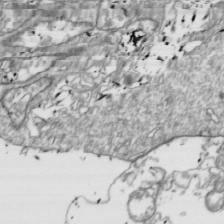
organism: Drosophila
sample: Cell division; meiosis; drosophila spermatocytes